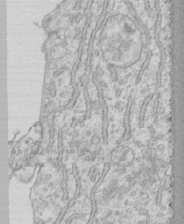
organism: Human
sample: CRL-1474